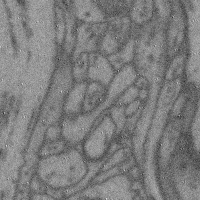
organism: Mouse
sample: Cerebral cortex